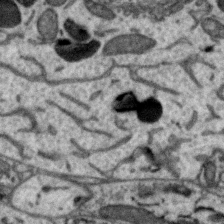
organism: Zebra finch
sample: Brain